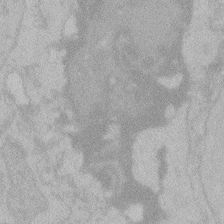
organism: Zebrafish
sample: Macrophage infected with Toxoplasma gondii